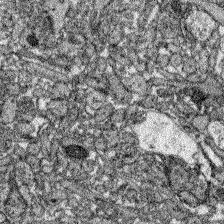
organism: Zebrafish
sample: Larval olfactory bulb